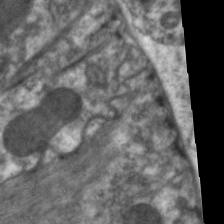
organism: C. elegans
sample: Pharynx